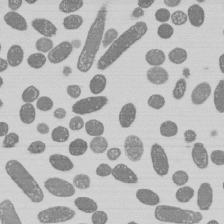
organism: E. coli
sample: Bacterial nucleoid